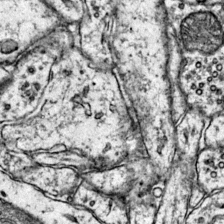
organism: Mouse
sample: Primary visual cortex